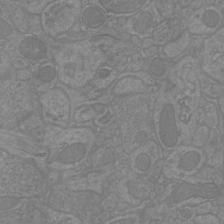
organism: Mouse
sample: Cortical neurons